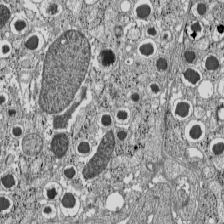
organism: C57BL Mouse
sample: Pancreatic islet